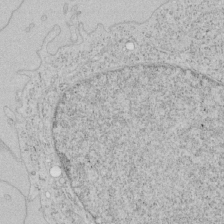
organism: Human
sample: Mitochondria in HCT116 cells